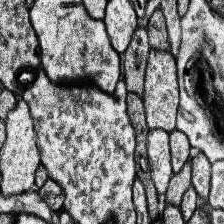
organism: Human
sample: Temporal Lobe